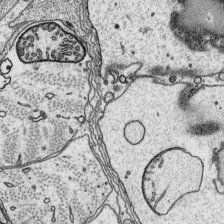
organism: Platynereis dumerilii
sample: Parapodia